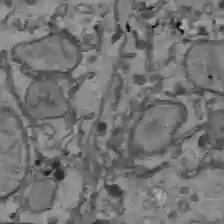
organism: C57BL Mouse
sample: Liver